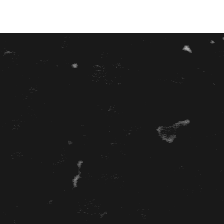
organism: Platynereis dumerilii